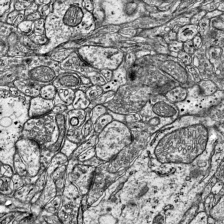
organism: Mouse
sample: Visual Cortex